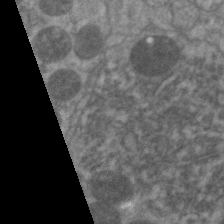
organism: C. elegans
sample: Pharynx